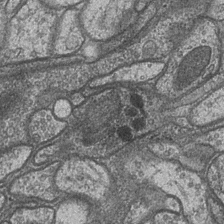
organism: Drosophila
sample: Optic medulla